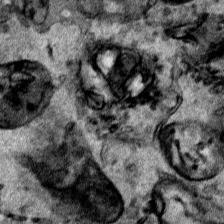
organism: Human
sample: Mitochondria in HCT116 cells